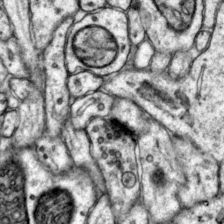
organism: Mouse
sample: Primary visual cortex